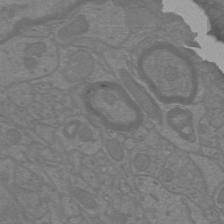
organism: Mouse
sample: Cortical neurons